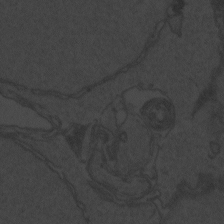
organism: Zebrafish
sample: Macrophage infected with Toxoplasma gondii